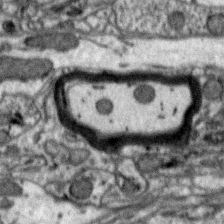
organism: Zebra finch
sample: Brain